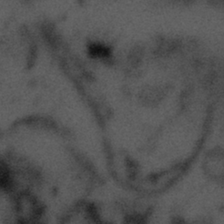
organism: Tuwongella immobilis